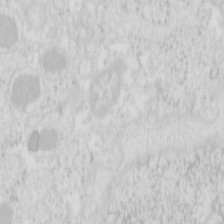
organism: Mouse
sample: Pancreas